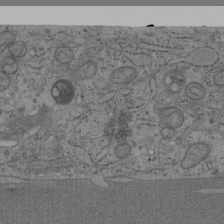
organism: Human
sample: HeLa cells